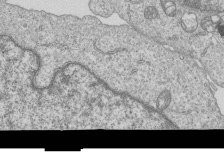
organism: Human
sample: MDA-MB-231 cells